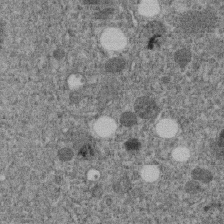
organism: C. elegans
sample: C. elegans embryo early stage